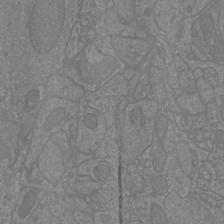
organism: Mouse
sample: Cortical neurons